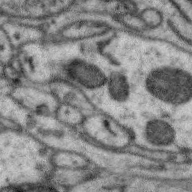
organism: Zebra finch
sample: Brain